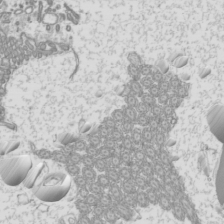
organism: Mouse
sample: Cilia; mouse epididymis